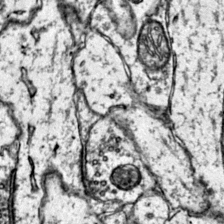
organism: Mouse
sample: Primary visual cortex